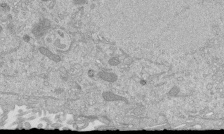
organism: Mouse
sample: ED-1 cell nuclei; centrioles